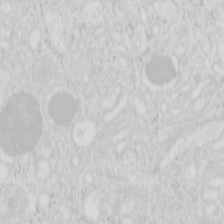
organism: Mouse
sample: Pancreas